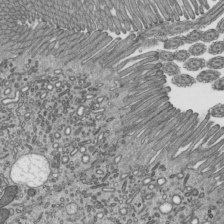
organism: Mouse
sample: Mouse epididymis efferent ductule cilia